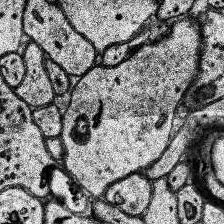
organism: Human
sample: Temporal Lobe